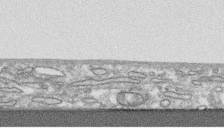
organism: Human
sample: CRL-1474